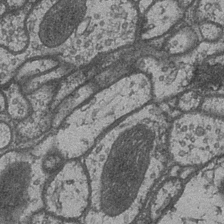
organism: Drosophila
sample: Optic medulla